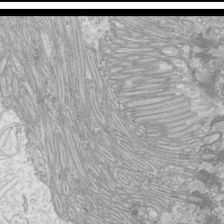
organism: Mouse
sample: Cilia; mouse epididymis